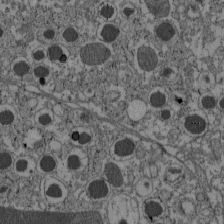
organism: C57BL Mouse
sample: Pancreatic islet